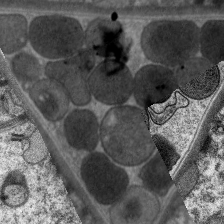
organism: C. elegans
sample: Pharynx